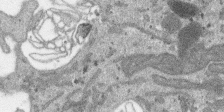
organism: Human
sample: Lung epithelial cells infected with SARS-CoV-2